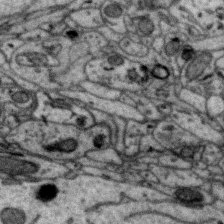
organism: Zebra finch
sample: Brain